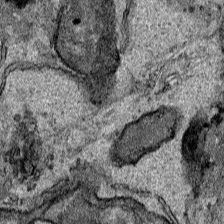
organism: Human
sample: Mitochondria in HCT116 cells